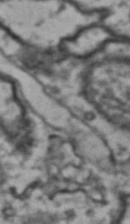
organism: Drosophila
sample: Brain